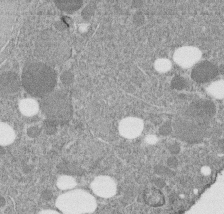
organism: C. elegans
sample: C. elegans embryo early stage